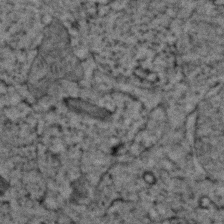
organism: Zebrafish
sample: Zebrafish embryo